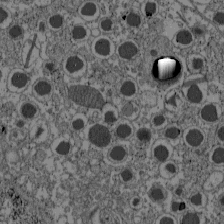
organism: C57BL Mouse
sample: Pancreatic islet